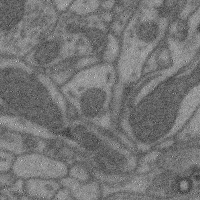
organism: Mouse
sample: Cerebral cortex